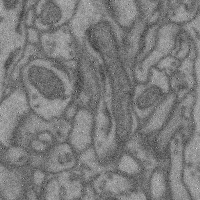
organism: Mouse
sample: Cerebral cortex